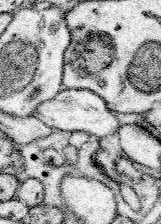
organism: Mouse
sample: Somatosensory cortex neuropil